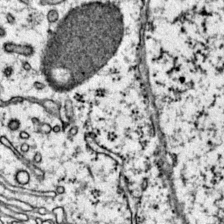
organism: Mouse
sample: Primary visual cortex